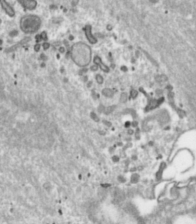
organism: Toxoplasma gondii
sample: Parasites in a vacuole inside a host cell